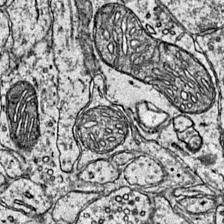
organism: Mouse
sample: Primary visual cortex